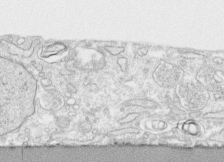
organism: Human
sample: CRL-1474